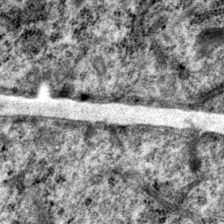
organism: P. pacificus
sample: Pharynx